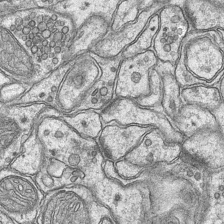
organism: Mouse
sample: CA1 Hippocampus